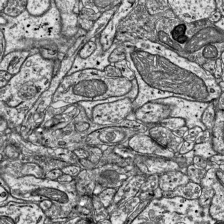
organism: Mouse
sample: Visual Cortex